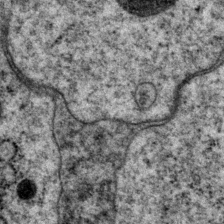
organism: P. pacificus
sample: Pharynx